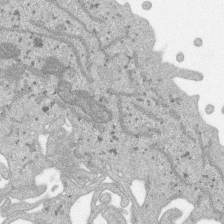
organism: Human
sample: Lung epithelial cells infected with SARS-CoV-2